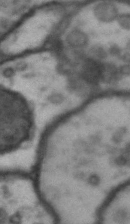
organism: Drosophila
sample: Brain